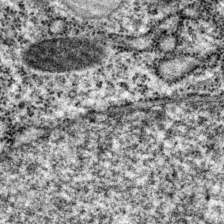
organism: P. pacificus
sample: Pharynx